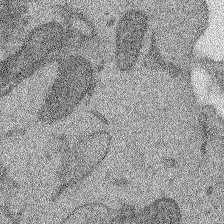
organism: Human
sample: HeLa cells